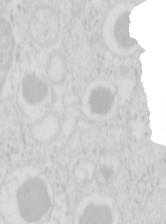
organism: Mouse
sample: Pancreas